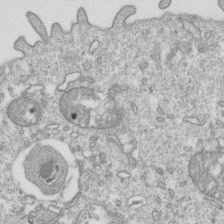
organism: Mouse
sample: Activated OT-1 CD8+ T cells